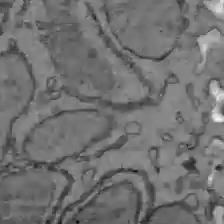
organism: C57BL Mouse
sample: Liver